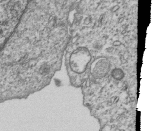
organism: Human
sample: MDA-MB-231 cells